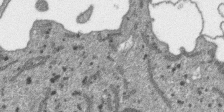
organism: Human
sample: Lung epithelial cells infected with SARS-CoV-2